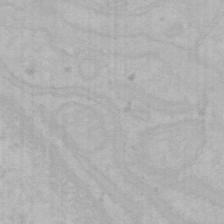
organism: Mouse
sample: Choroid plexus